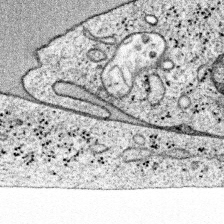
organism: Human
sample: HeLa cells